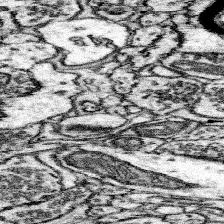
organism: Mouse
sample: Somatosensory cortex neuropil